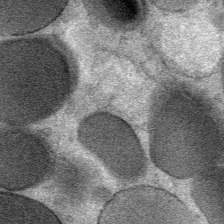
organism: Mouse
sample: Mouse Salivary gland